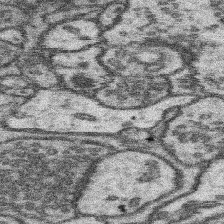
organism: Mouse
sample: Somatosensory cortex neuropil